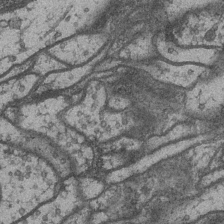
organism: Drosophila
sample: Optic medulla